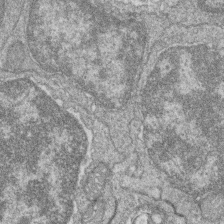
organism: Zebrafish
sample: Cilia; retinal pigment epithelium